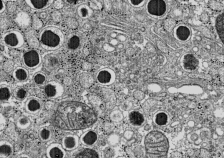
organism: C57BL Mouse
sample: Pancreatic islet